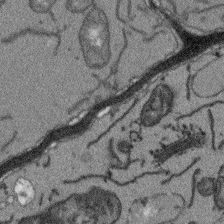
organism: Arabidopsis thaliana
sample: Root tip